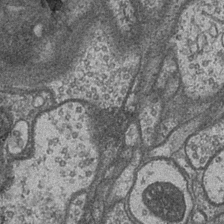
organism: Drosophila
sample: Optic medulla